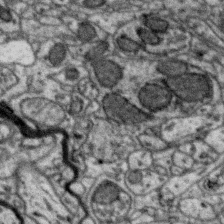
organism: Zebra finch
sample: Brain